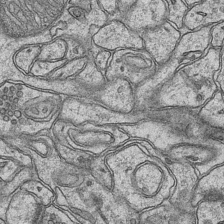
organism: Mouse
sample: CA1 Hippocampus